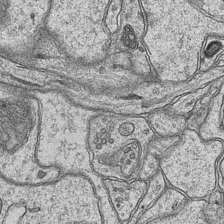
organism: Mouse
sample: CA1 Hippocampus